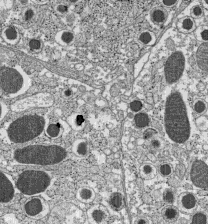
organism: C57BL Mouse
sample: Pancreatic islet